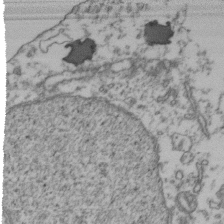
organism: Human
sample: Activated Jurkat CD4+ T cells